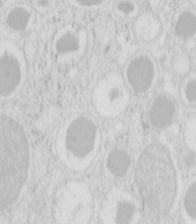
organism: Mouse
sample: Pancreas